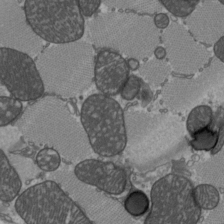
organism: C57BL Mouse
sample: Heart